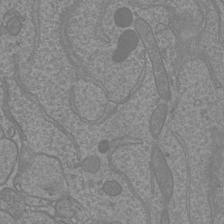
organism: Mouse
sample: Cortical neurons